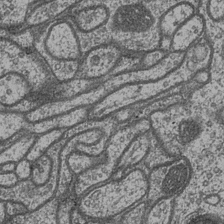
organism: Drosophila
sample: Optic medulla